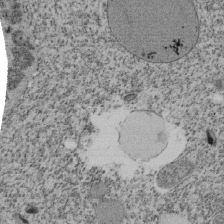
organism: Tetrahymena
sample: Cilia in tetrahymena